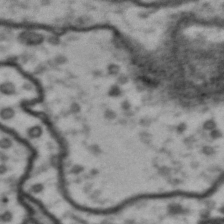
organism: Drosophila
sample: Brain